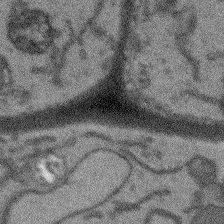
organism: Arabidopsis thaliana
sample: Root tip